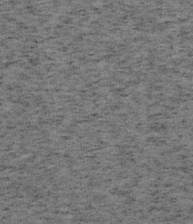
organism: Mouse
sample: OT-I killer T cells with ID8 ovarian cancer cells